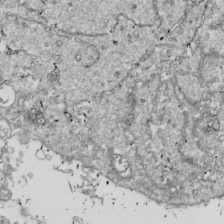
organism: Drosophila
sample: Cell division; meiosis; drosophila spermatocytes